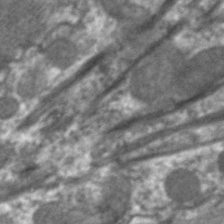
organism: C. elegans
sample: Pharynx